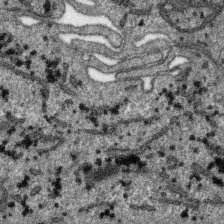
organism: Human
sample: Lung epithelial cells infected with SARS-CoV-2